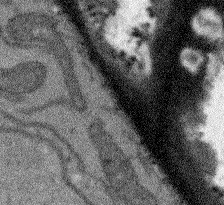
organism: Arabidopsis thaliana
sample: Root tip